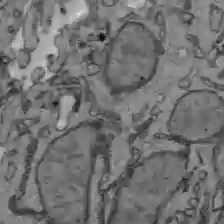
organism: C57BL Mouse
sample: Liver